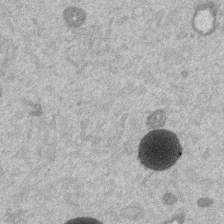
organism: Mouse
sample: Dividing mouse embryo 1 cell stage